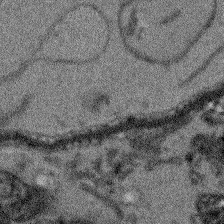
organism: Arabidopsis thaliana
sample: Root tip